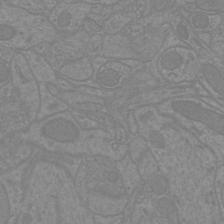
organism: Mouse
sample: Cortical neurons